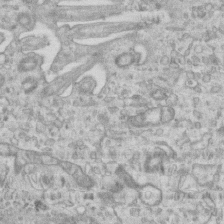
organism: Mouse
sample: Centriole in ependymal cells